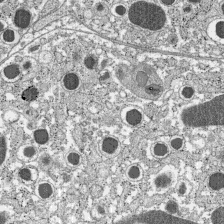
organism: C57BL Mouse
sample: Pancreatic islet